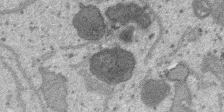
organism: Human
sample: Lung epithelial cells infected with SARS-CoV-2